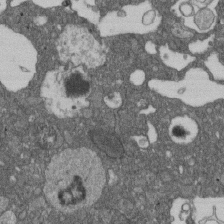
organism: Drosophila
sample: Nephrocyte